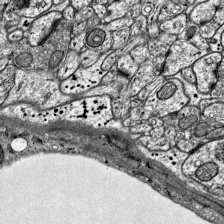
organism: Mouse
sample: Visual Cortex